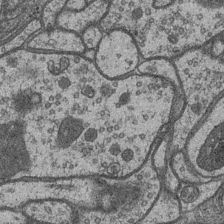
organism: Drosophila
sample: Optic medulla